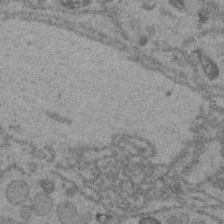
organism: C. elegans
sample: C. elegans embryo early stage